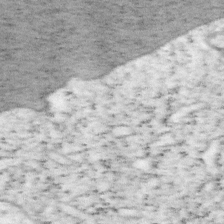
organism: Mouse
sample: OT-I killer T cells with ID8 ovarian cancer cells